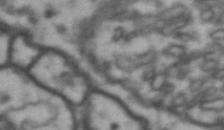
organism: Drosophila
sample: Brain